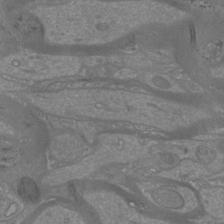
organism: Mouse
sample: Cortical neurons